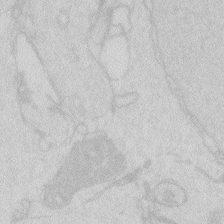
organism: Zebrafish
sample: Macrophage